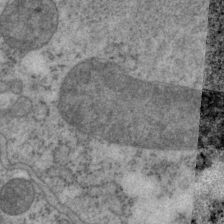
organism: P. pacificus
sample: Pharynx